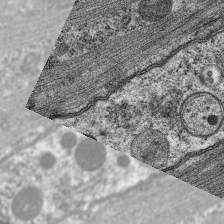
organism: C. elegans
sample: Pharynx